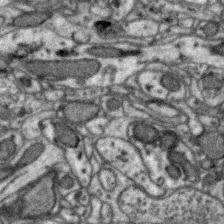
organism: Zebra finch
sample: Brain